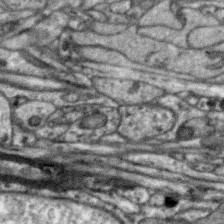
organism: Zebra finch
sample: Brain